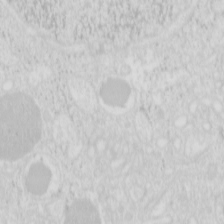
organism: Mouse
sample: Pancreas